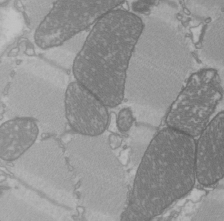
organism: C57BL Mouse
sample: Heart